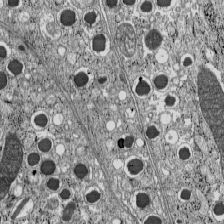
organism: C57BL Mouse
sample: Pancreatic islet